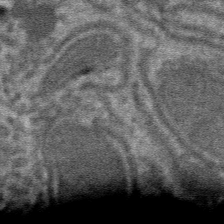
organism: Mouse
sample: Mouse hepatocytes